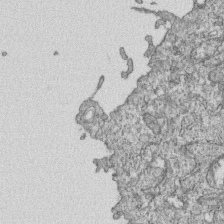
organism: Human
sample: HeLa cell HIV synapse